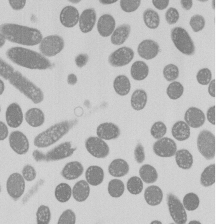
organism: E. coli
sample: Bacterial nucleoid